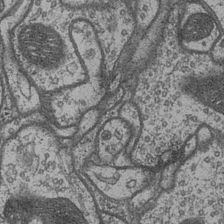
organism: Drosophila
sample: Optic medulla